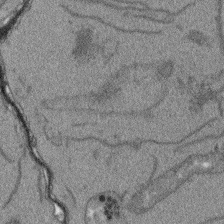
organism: Arabidopsis thaliana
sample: Root tip